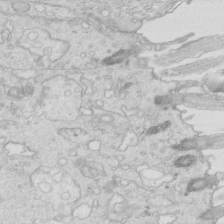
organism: Mouse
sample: Multiciliated cells